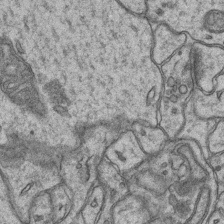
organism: Mouse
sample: CA1 Hippocampus